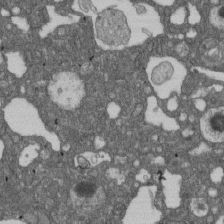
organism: Drosophila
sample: Nephrocyte